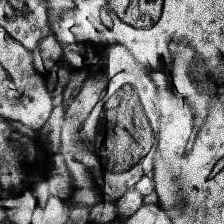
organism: Human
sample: Temporal Lobe